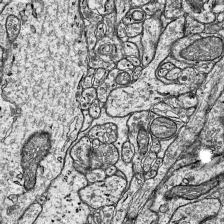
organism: Mouse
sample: Visual Cortex